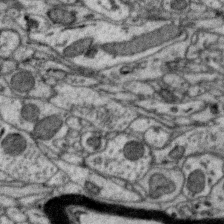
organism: Zebra finch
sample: Brain